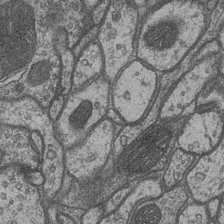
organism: Drosophila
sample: Optic medulla